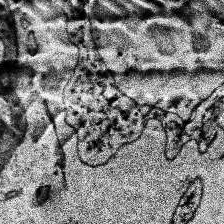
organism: Human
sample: Temporal Lobe